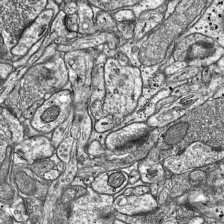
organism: Mouse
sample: Visual Cortex